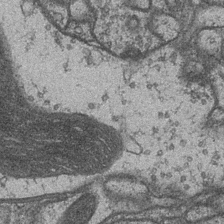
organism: Drosophila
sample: Optic medulla